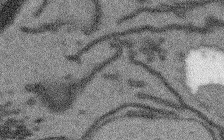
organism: Arabidopsis thaliana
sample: Root tip